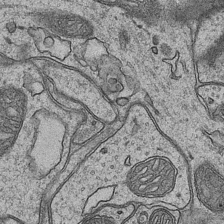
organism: Mouse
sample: CA1 Hippocampus